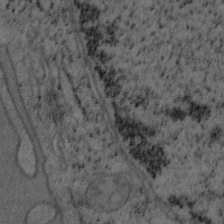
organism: Human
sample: HeLa cells